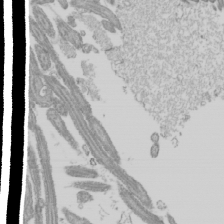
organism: Mouse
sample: Cilia; mouse epididymis